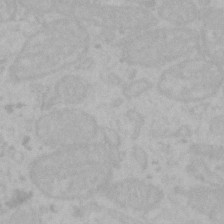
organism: Mouse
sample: Choroid plexus